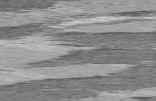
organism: C57BL Mouse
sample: Heart